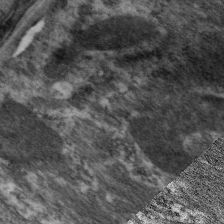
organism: C. elegans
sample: Pharynx